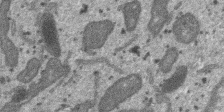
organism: Human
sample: Lung epithelial cells infected with SARS-CoV-2